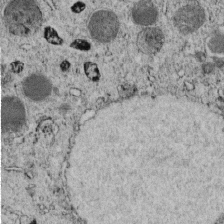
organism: C. elegans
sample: C. elegans embryo early stage